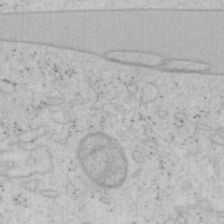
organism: Human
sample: HeLa cells